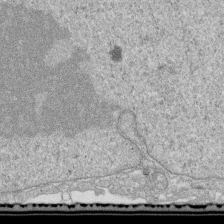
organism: Human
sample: HeLa cell HIV synapse